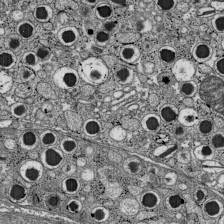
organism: C57BL Mouse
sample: Pancreatic islet